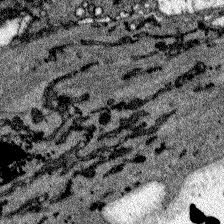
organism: Zebrafish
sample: Larval olfactory bulb